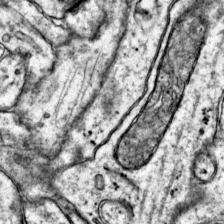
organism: Mouse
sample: Primary visual cortex